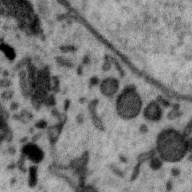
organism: Zebra finch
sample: Brain